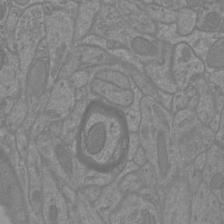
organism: Mouse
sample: Cortical neurons